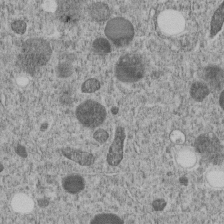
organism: C. elegans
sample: C. elegans embryo early stage